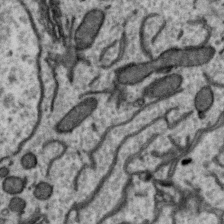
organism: Zebra finch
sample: Brain